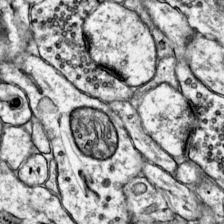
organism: Mouse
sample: Primary visual cortex